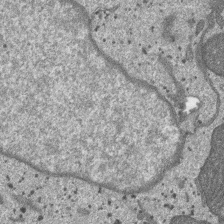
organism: Human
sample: Lung epithelial cells infected with SARS-CoV-2